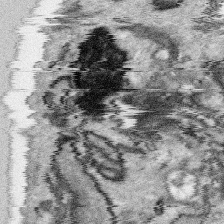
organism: Human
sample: HeLa cells